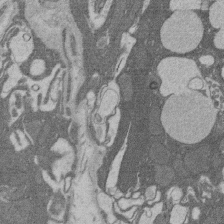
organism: Rat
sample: Salivary granule